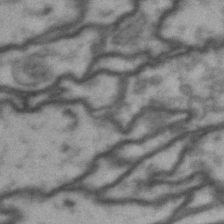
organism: Drosophila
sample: Brain